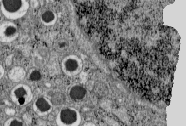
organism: C57BL Mouse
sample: Pancreatic islet